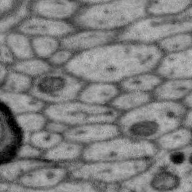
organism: Zebra finch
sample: Brain